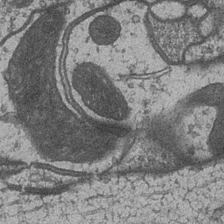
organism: Drosophila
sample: Optic medulla